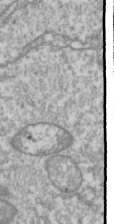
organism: Drosophila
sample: Cell division; meiosis; drosophila spermatocytes